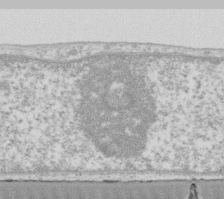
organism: Human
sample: Fibroblast cells